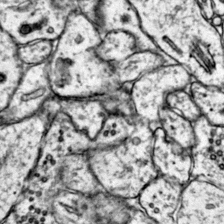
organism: Mouse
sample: Primary visual cortex